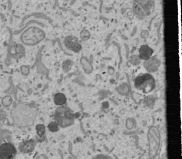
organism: Human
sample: Mitochondria in U2OS cells